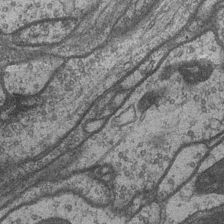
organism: Drosophila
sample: Optic medulla